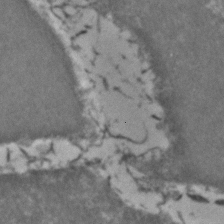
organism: Zebrafish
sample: Zebrafish embryo